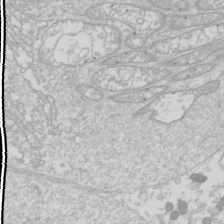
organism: Drosophila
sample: Cell division; meiosis; drosophila spermatocytes